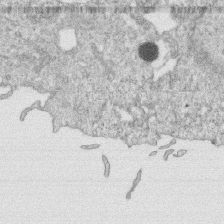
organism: Human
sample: HeLa cell HIV synapse